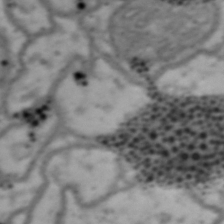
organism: Drosophila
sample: Brain